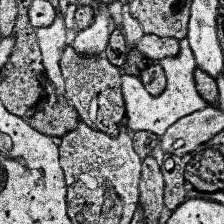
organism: Human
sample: Temporal Lobe